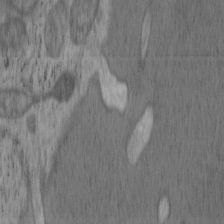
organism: Human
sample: HeLa cells